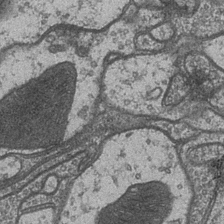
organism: Drosophila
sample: Optic medulla